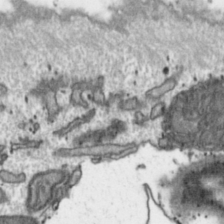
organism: Toxoplasma gondii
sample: Parasites in a vacuole inside a host cell